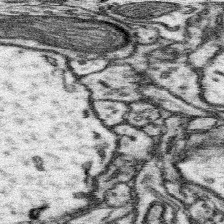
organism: Mouse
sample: Somatosensory cortex neuropil